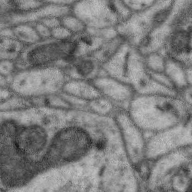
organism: Zebra finch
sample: Brain